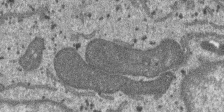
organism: Human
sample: Lung epithelial cells infected with SARS-CoV-2